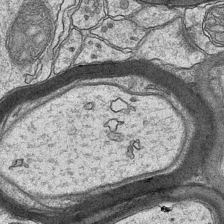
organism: Mouse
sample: CA1 Hippocampus